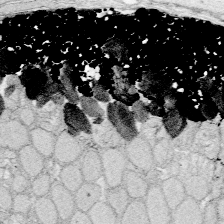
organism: Zebrafish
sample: Whole-Brain